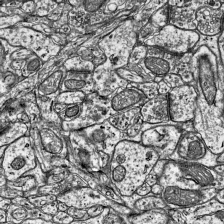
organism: Mouse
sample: Visual Cortex